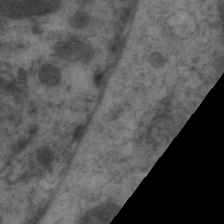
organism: C. elegans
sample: Pharynx